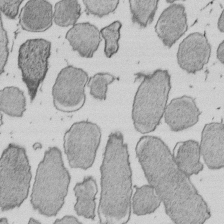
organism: E. coli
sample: Bacterial nucleoid